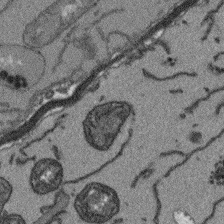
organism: Arabidopsis thaliana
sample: Root tip